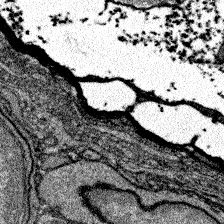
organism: Zebrafish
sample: Larval olfactory bulb